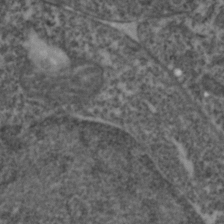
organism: Zebrafish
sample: Zebrafish embryo